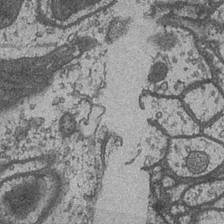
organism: Drosophila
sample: Optic medulla